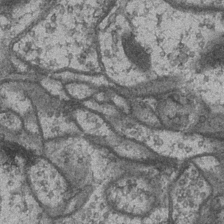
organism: Drosophila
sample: Optic medulla